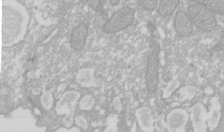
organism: Xenopus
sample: Cilia; centrioles in frog embryo cells